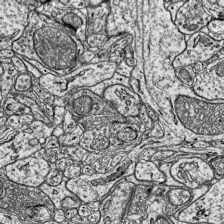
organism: Mouse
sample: Visual Cortex